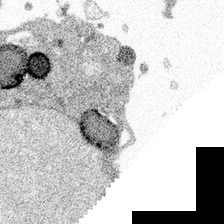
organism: Spongilla lacustris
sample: Multiple